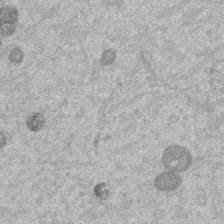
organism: Mouse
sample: Dividing mouse embryo 1 cell stage